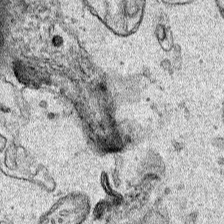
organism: Human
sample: Mitochondria in HCT116 cells